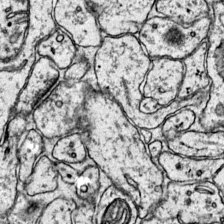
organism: Mouse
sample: Primary visual cortex